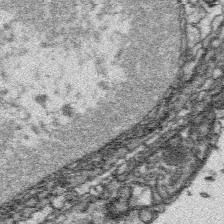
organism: Platynereis dumerilii